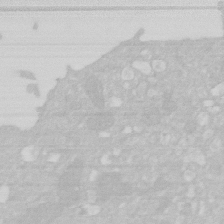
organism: Human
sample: HIV infected U937 cells